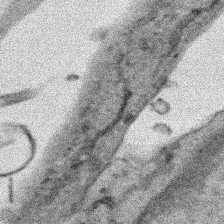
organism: Human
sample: Mitochondria in HCT116 cells